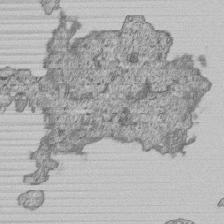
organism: Human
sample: MDA-MB-231 cells